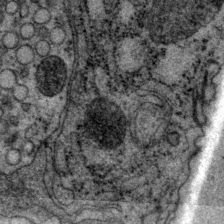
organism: P. pacificus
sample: Pharynx